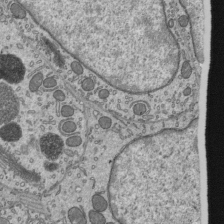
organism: Mouse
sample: Mouse epididymis efferent ductule cilia